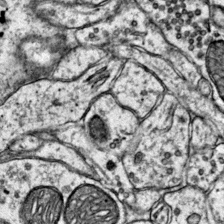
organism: Mouse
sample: Primary visual cortex